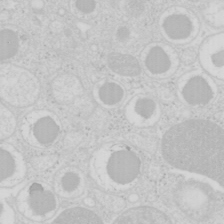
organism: Mouse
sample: Pancreas